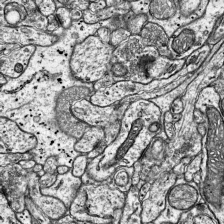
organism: Mouse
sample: Visual Cortex